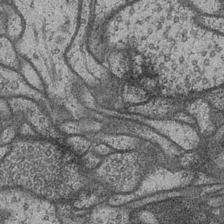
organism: Drosophila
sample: Optic medulla